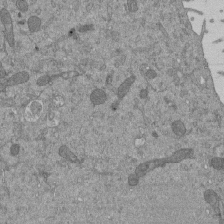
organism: Mouse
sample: ED-1 cell nuclei; centrioles